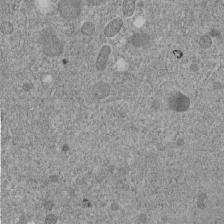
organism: C. elegans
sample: C. elegans embryo early stage